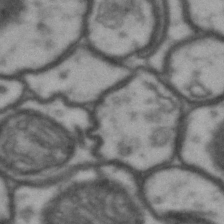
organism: Drosophila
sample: Brain